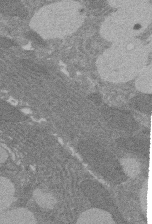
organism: Rat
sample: Salivary granule